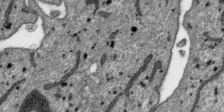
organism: Human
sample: Lung epithelial cells, uninfected (mock) control